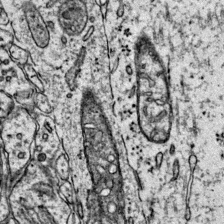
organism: Mouse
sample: Primary visual cortex